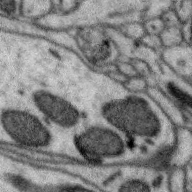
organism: Zebra finch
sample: Brain